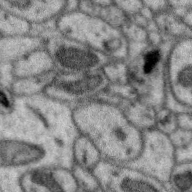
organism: Zebra finch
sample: Brain